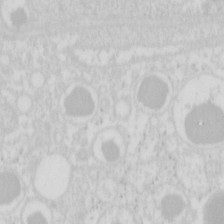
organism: Mouse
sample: Pancreas